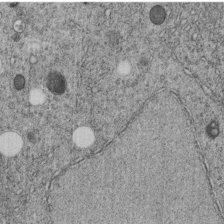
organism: C. elegans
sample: C. elegans embryo early stage